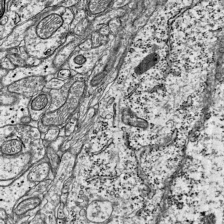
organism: Mouse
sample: Visual Cortex